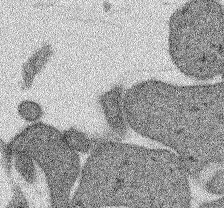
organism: Human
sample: HeLa cells